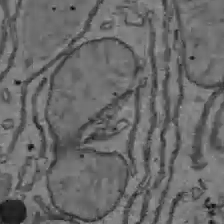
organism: C57BL Mouse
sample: Liver